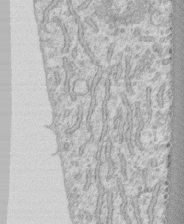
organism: Human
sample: CRL-1474